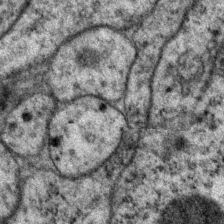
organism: P. pacificus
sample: Pharynx